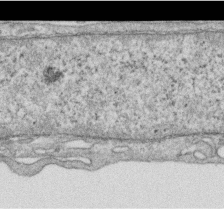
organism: Human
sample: Centriole in RPE cells